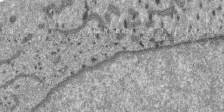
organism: Human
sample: Lung epithelial cells infected with SARS-CoV-2